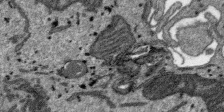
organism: Human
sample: Lung epithelial cells, uninfected (mock) control